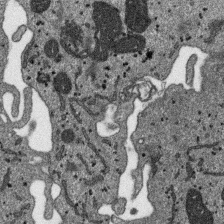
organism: Human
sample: Lung epithelial cells infected with SARS-CoV-2